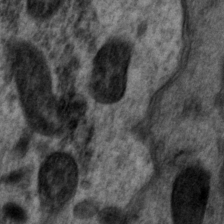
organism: P. pacificus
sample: Pharynx